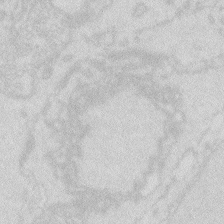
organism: Zebrafish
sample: Macrophage